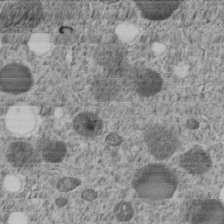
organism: C. elegans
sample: C. elegans embryo early stage